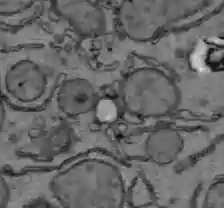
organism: C57BL Mouse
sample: Liver